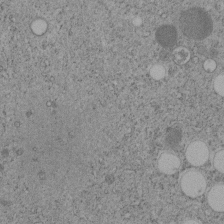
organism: C. elegans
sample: C. elegans embryo early stage